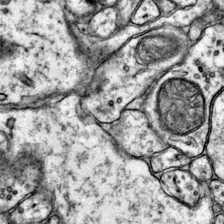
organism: Mouse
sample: Primary visual cortex